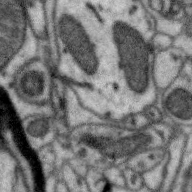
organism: Zebra finch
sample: Brain